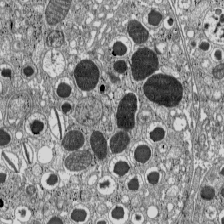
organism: C57BL Mouse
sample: Pancreatic islet